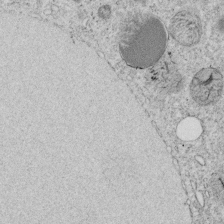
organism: C. elegans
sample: C. elegans embryo early stage